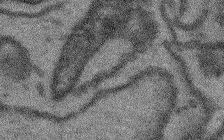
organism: Arabidopsis thaliana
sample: Root tip